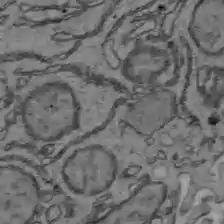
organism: C57BL Mouse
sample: Liver